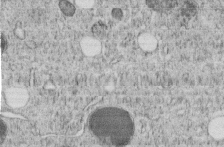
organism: C. elegans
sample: C. elegans embryo early stage